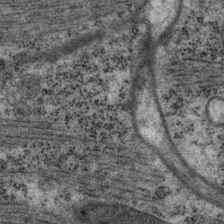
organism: P. pacificus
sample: Pharynx